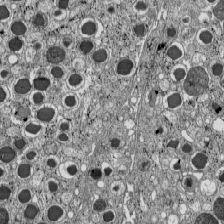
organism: C57BL Mouse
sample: Pancreatic islet